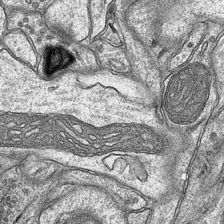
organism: Mouse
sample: CA1 Hippocampus